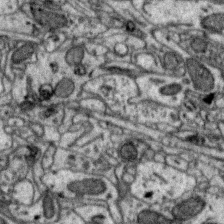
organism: Zebra finch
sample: Brain